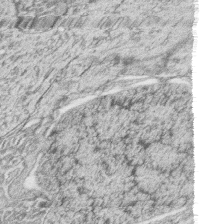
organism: Zebrafish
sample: synaptic ribbons in rod cells and cone cells